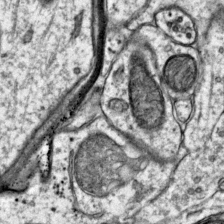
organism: Mouse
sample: Primary visual cortex